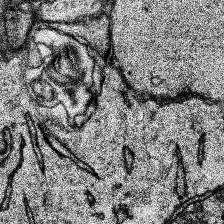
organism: Human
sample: Temporal Lobe